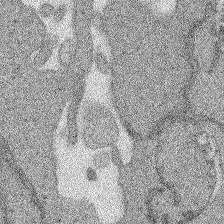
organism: Human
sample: HeLa cells